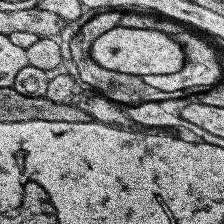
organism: Human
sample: Temporal Lobe